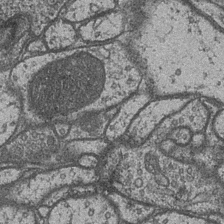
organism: Drosophila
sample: Optic medulla